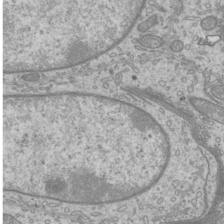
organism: Mouse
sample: Cilia; mouse epididymis